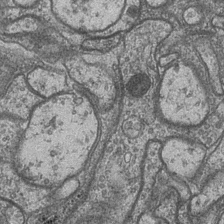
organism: Drosophila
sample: Optic medulla